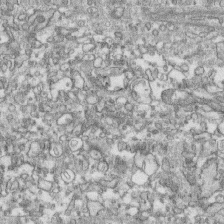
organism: Human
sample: CRL-1474